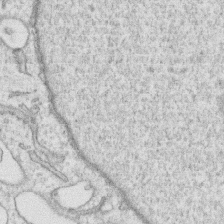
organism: Human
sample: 1205lu cells